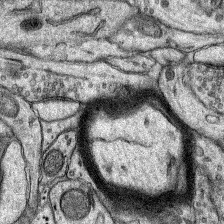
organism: Rat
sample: Hippocampus